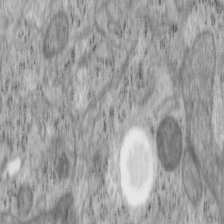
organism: Human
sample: HeLa cells